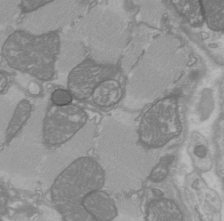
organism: C57BL Mouse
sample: Heart